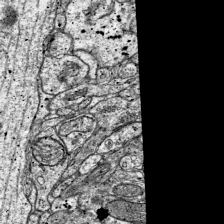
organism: Mouse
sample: Visual Cortex